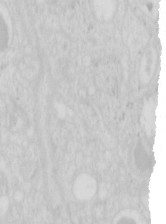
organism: Mouse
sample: Pancreas